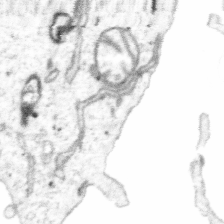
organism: Human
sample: HeLa cells